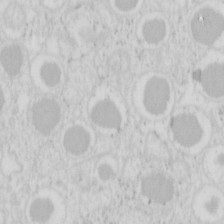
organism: Mouse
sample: Pancreas